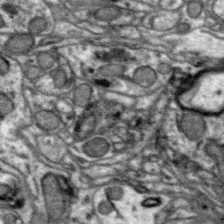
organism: Zebra finch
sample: Brain